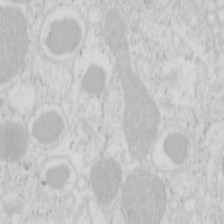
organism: Mouse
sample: Pancreas